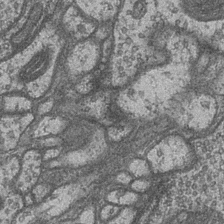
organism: Drosophila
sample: Optic medulla